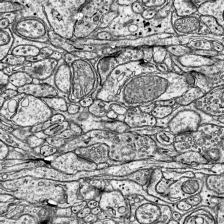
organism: Mouse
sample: Visual Cortex